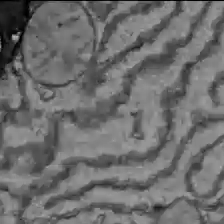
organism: C57BL Mouse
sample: Liver